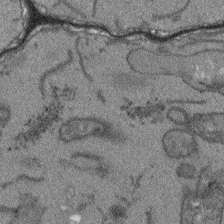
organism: Arabidopsis thaliana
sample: Root tip